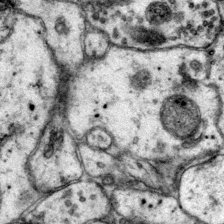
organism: Mouse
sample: Primary visual cortex